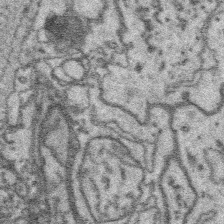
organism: Platynereis dumerilii